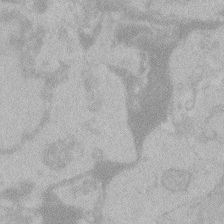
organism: Zebrafish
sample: Macrophage infected with Toxoplasma gondii